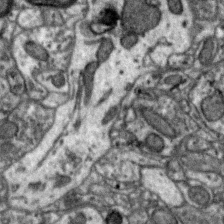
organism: Zebra finch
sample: Brain